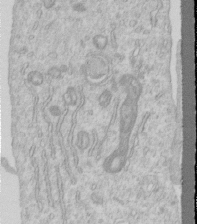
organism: Human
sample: Centriole in RPE cells